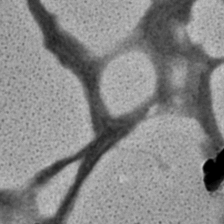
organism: C. elegans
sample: C. elegans embryo